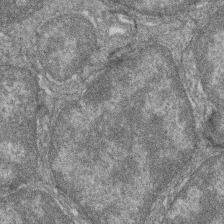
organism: Zebrafish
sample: Cilia; retinal pigment epithelium